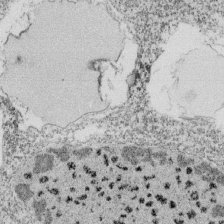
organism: Tetrahymena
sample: Cilia in tetrahymena